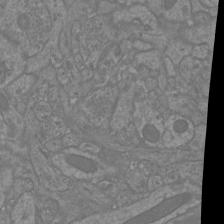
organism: Mouse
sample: Cortical neurons